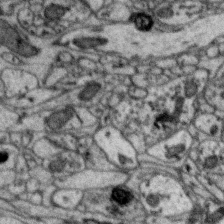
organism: Zebra finch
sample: Brain